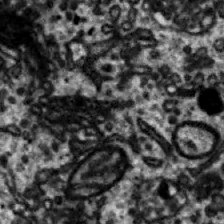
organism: Human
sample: HeLa cells